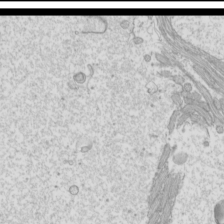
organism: Mouse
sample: Cilia; mouse epididymis